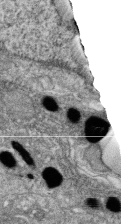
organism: Zebrafish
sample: Cilia; retinal pigment epithelium